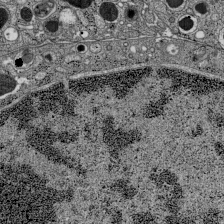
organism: C57BL Mouse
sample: Pancreatic islet